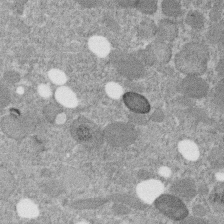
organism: C. elegans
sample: C. elegans embryo early stage